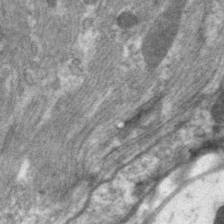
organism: C. elegans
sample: Pharynx